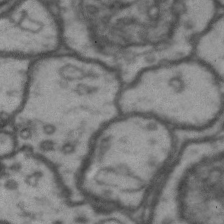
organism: Drosophila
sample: Brain